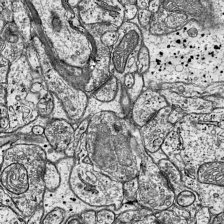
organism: Mouse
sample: Visual Cortex